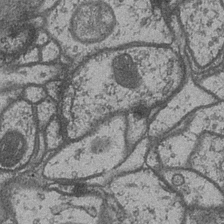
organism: Drosophila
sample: Optic medulla